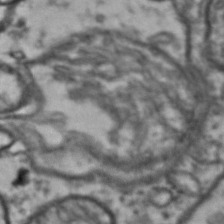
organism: Drosophila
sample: Brain